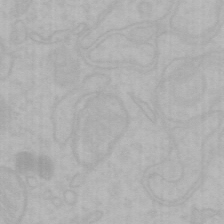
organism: Mouse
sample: Choroid plexus